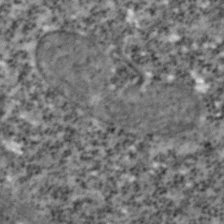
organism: Zebrafish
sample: Zebrafish embryo